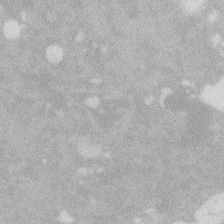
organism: Zebrafish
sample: Macrophage